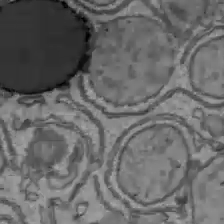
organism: C57BL Mouse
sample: Liver